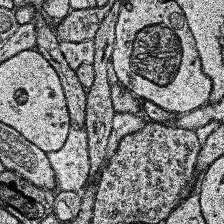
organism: Human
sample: Temporal Lobe